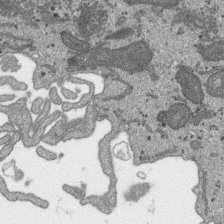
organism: Human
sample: Lung epithelial cells infected with SARS-CoV-2